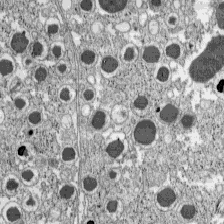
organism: C57BL Mouse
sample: Pancreatic islet